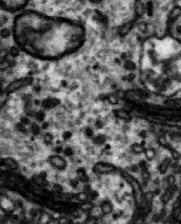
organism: Human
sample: HeLa cells